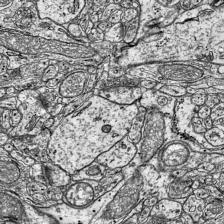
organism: Mouse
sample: Visual Cortex